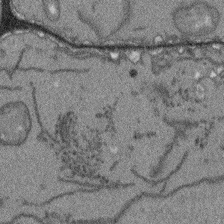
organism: Arabidopsis thaliana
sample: Root tip